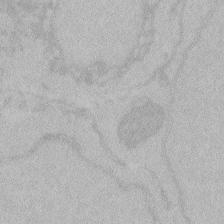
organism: Zebrafish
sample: Macrophage infected with Toxoplasma gondii